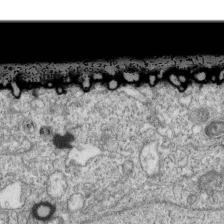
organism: Human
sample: HeLa cell HIV synapse